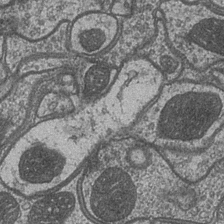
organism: Drosophila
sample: Optic medulla